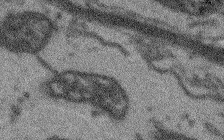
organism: Arabidopsis thaliana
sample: Root tip